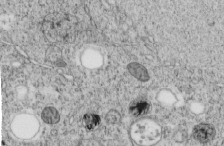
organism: C. elegans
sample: C. elegans embryo early stage